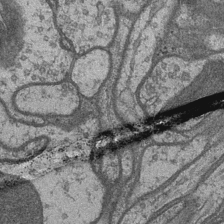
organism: Drosophila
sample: Optic medulla